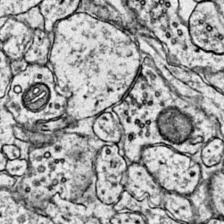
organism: Mouse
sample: Primary visual cortex